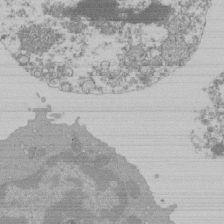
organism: Mouse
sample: Activated Pmel transgenic CD8+ T Cells